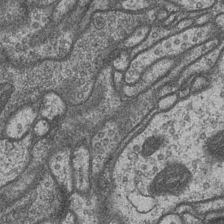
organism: Drosophila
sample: Optic medulla